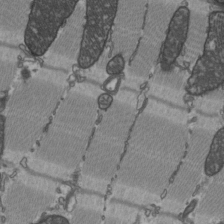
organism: C57BL Mouse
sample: Heart